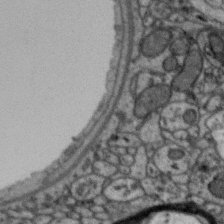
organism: Zebra finch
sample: Brain